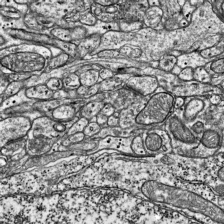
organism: Mouse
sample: Visual Cortex